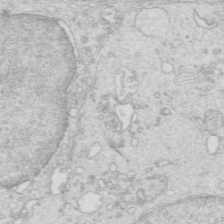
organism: Mouse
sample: Multiciliated cells